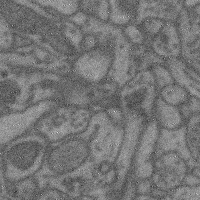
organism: Mouse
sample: Cerebral cortex